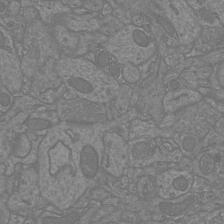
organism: Mouse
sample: Cortical neurons